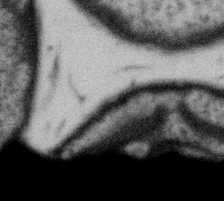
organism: Gemmata obscuriglobus